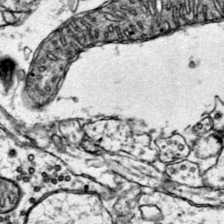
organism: Mouse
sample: Primary visual cortex